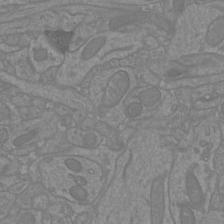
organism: Mouse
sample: Cortical neurons